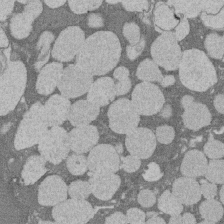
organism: Rat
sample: Salivary granule